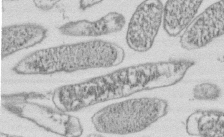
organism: E. coli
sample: Bacterial nucleoid